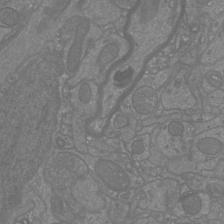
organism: Mouse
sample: Cortical neurons